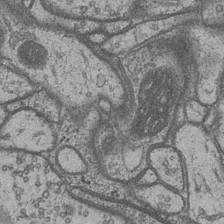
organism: Drosophila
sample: Optic medulla